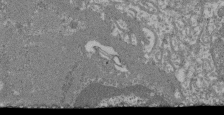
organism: Mouse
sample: Glomerulus